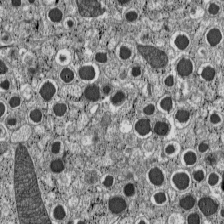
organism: C57BL Mouse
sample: Pancreatic islet